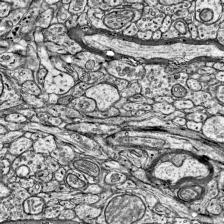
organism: Mouse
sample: Visual Cortex